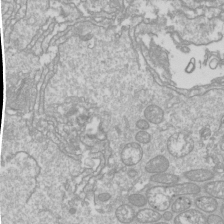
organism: Drosophila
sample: Cell division; meiosis; drosophila spermatocytes